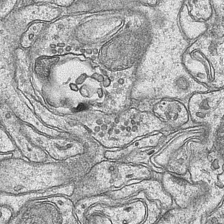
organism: Mouse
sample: CA1 Hippocampus